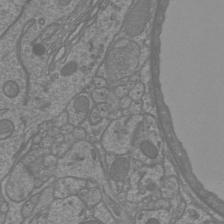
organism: Mouse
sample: Cortical neurons